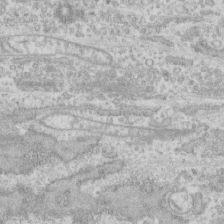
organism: Human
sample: CRL-1474